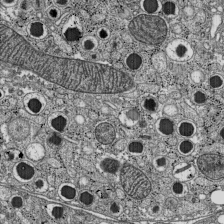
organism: C57BL Mouse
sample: Pancreatic islet